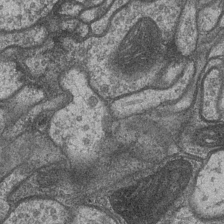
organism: Drosophila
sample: Optic medulla